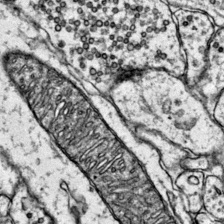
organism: Mouse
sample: Primary visual cortex